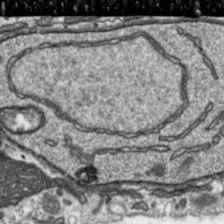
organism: Toxoplasma gondii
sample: Parasites in a vacuole inside a host cell